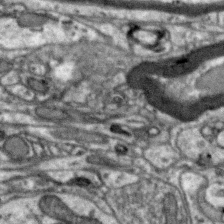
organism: Zebra finch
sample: Brain